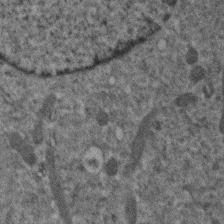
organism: Human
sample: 1205lu cells